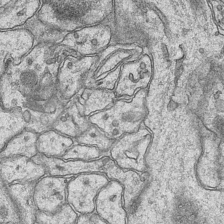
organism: Mouse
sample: CA1 Hippocampus